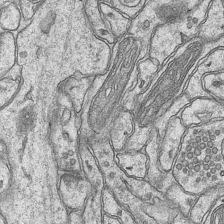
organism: Mouse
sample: CA1 Hippocampus